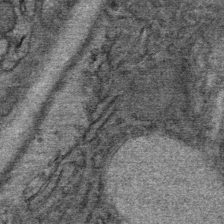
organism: Mouse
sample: Mouse Salivary gland